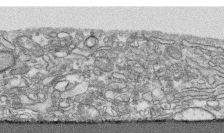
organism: Human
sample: CRL-1474